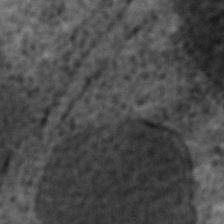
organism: C. elegans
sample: C. elegans embryo